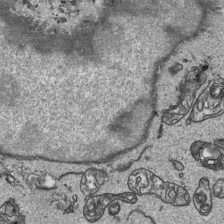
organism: Human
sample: Mitochondria in HCT116 cells